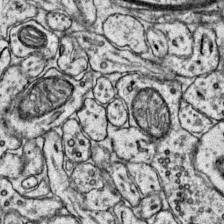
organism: Mouse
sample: Primary visual cortex